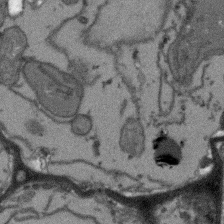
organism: Arabidopsis thaliana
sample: Root tip